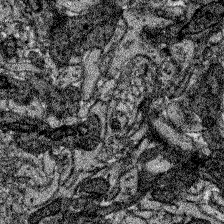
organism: Zebrafish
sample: Larval olfactory bulb